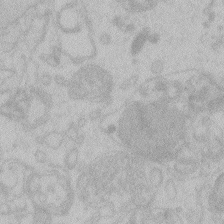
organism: Zebrafish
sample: Macrophage infected with Toxoplasma gondii